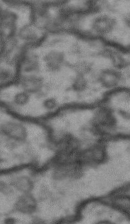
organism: Drosophila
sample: Brain